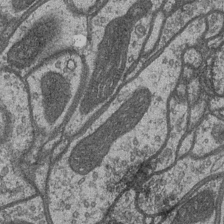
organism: Drosophila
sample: Optic medulla